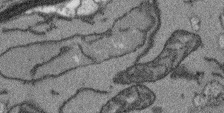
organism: Arabidopsis thaliana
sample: Root tip